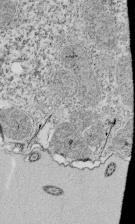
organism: Tetrahymena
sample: Cilia in tetrahymena